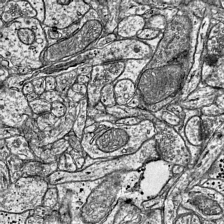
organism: Mouse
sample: Visual Cortex